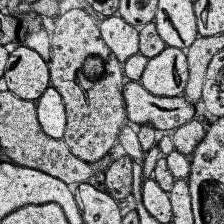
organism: Human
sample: Temporal Lobe